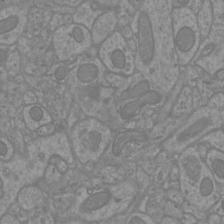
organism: Mouse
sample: Cortical neurons